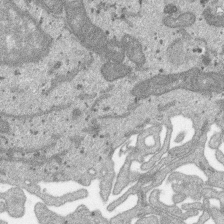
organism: Human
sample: Lung epithelial cells infected with SARS-CoV-2